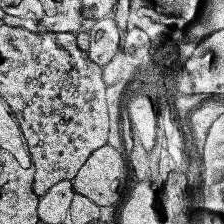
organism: Human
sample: Temporal Lobe